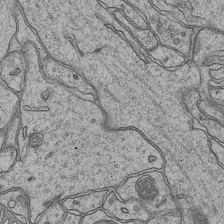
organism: Mouse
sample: CA1 Hippocampus